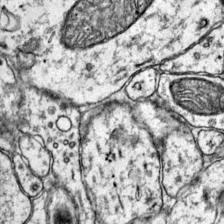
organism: Mouse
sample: Primary visual cortex